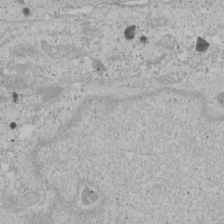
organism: Human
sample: Mitochondria in U2OS cells